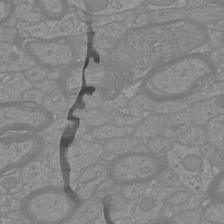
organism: Mouse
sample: Cortical neurons